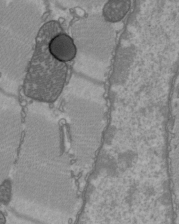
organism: C57BL Mouse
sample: Heart